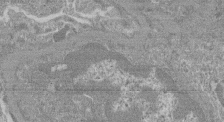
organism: Mouse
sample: Glomerulus